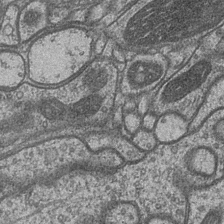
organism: Drosophila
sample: Optic medulla